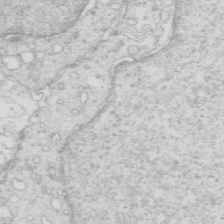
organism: Mouse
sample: Multiciliated cells